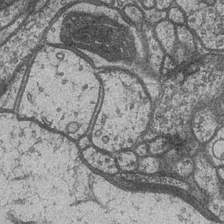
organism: Drosophila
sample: Optic medulla